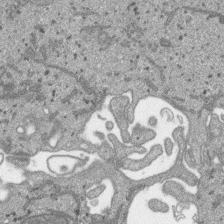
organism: Human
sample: Lung epithelial cells infected with SARS-CoV-2